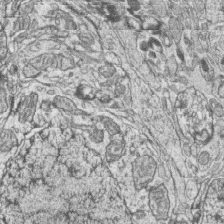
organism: Zebrafish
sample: synaptic ribbons in rod cells and cone cells